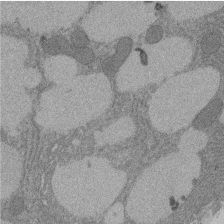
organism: Rat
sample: Salivary granule